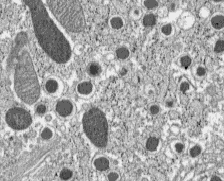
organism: C57BL Mouse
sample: Pancreatic islet